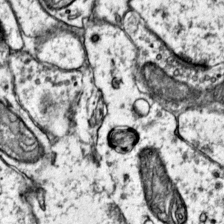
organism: Mouse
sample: Primary visual cortex